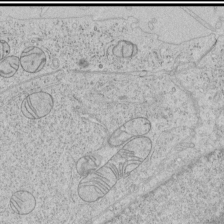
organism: Human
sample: Mitochondria in HCT116 cells